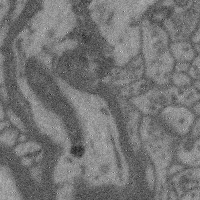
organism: Mouse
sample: Cerebral cortex